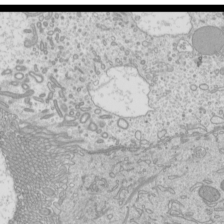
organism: Mouse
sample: Cilia; mouse epididymis